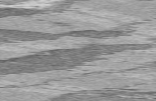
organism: C57BL Mouse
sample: Heart